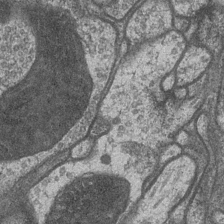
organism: Drosophila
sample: Optic medulla